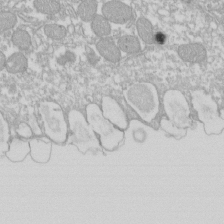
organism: Xenopus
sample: Cilia; centrioles in frog embryo cells